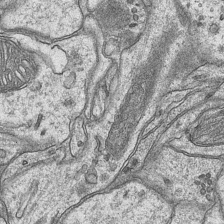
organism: Mouse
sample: CA1 Hippocampus